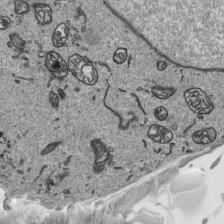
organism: Human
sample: Mitochondria in HCT116 cells